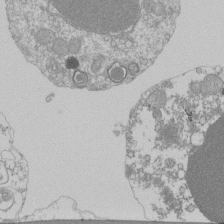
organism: Mouse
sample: Activated Pmel transgenic CD8+ T Cells